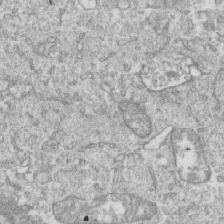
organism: Mouse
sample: Activated OT-1 CD8+ T cells